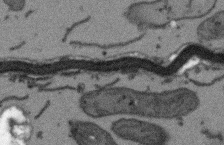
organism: Arabidopsis thaliana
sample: Root tip